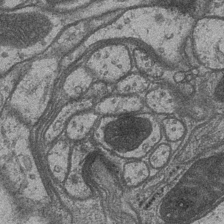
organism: Drosophila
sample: Optic medulla